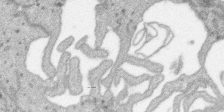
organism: Human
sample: Lung epithelial cells infected with SARS-CoV-2